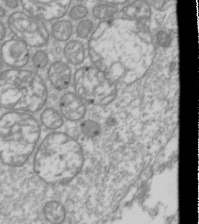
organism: Drosophila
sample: Cell division; meiosis; drosophila spermatocytes